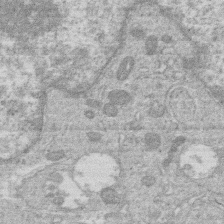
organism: Human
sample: Macrophage cells